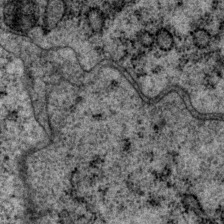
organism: P. pacificus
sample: Pharynx